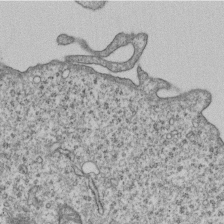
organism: Human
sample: MDA-MB-231 cells